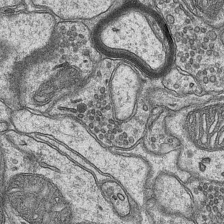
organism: Mouse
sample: CA1 Hippocampus